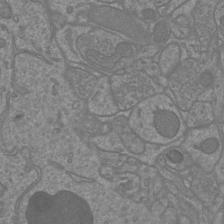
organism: Mouse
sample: Cortical neurons